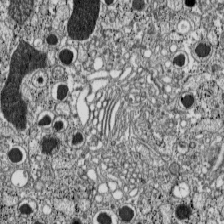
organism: C57BL Mouse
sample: Pancreatic islet